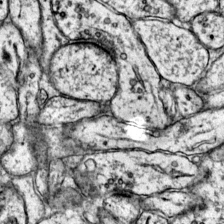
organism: Mouse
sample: Primary visual cortex